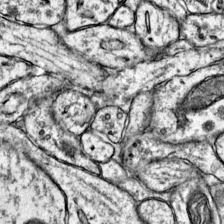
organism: Mouse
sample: Primary visual cortex